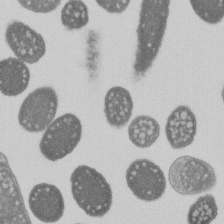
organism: E. coli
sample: Bacterial nucleoid